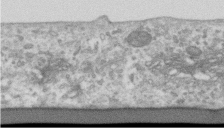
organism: Human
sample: Centriole in RPE cells